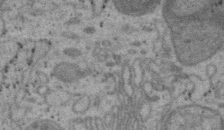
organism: Human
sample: HeLa cells